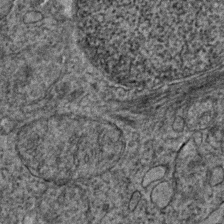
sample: Trachea